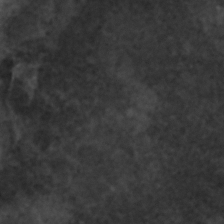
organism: C. elegans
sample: C. elegans embryo